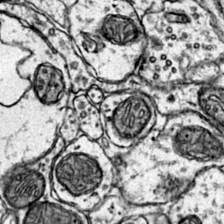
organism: Mouse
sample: Primary visual cortex